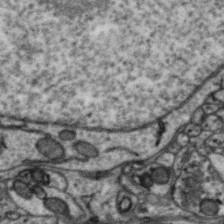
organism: Zebra finch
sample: Brain